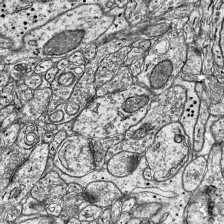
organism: Mouse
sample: Visual Cortex